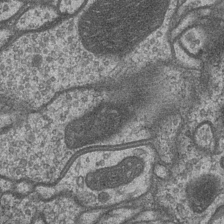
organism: Drosophila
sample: Optic medulla